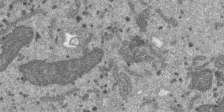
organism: Human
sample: Lung epithelial cells infected with SARS-CoV-2